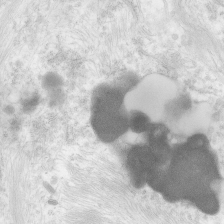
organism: Human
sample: Neocortex